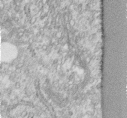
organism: Human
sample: Centriole in fibroblast cells